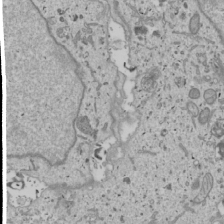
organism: Human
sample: Mitochondria in U2OS cells